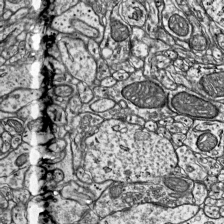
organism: Mouse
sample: Visual Cortex